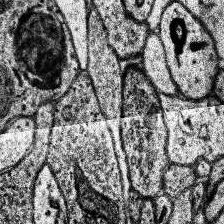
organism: Human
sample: Temporal Lobe